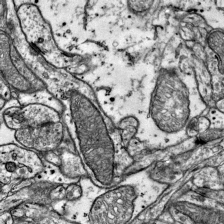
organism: Mouse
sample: Visual Cortex